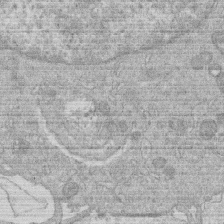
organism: Human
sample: Macrophage cells